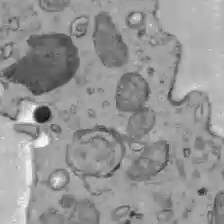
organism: C57BL Mouse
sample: Liver